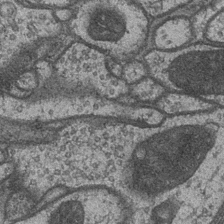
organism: Drosophila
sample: Optic medulla